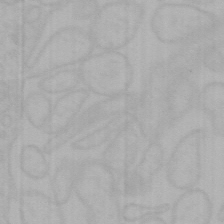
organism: Mouse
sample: Choroid plexus